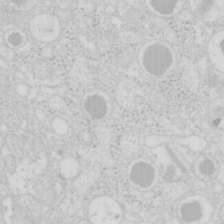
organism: Mouse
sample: Pancreas